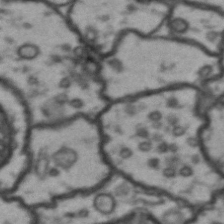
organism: Drosophila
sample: Brain